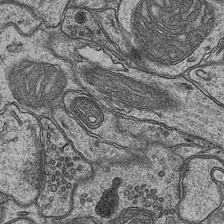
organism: Mouse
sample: CA1 Hippocampus